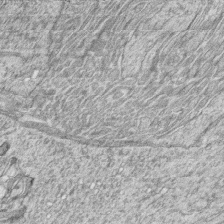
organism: Zebrafish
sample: synaptic ribbons in rod cells and cone cells